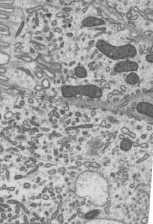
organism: Mouse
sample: Mouse epididymis efferent ductule cilia